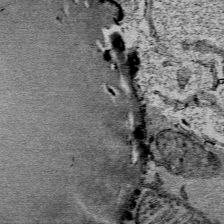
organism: Mouse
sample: Mouse Salivary gland